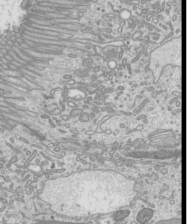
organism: Mouse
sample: Cilia; mouse epididymis